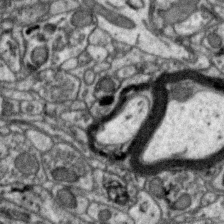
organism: Zebra finch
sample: Brain